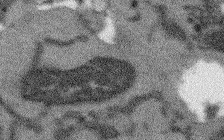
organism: Arabidopsis thaliana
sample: Root tip